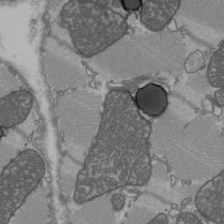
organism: C57BL Mouse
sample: Heart